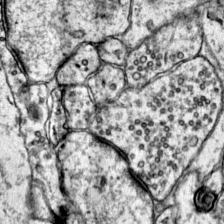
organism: Mouse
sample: Primary visual cortex